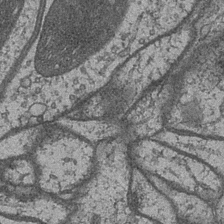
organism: Drosophila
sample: Optic medulla